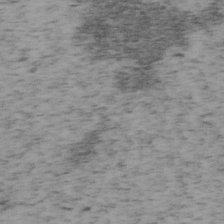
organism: Mouse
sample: OT-I killer T cells with ID8 ovarian cancer cells